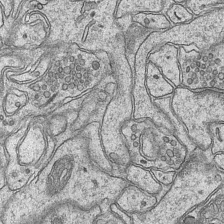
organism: Mouse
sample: CA1 Hippocampus